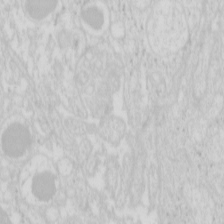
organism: Mouse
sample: Pancreas